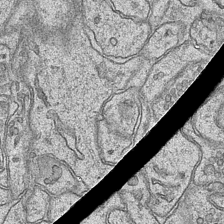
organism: Mouse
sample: CA1 Hippocampus